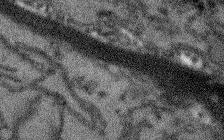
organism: Arabidopsis thaliana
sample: Root tip